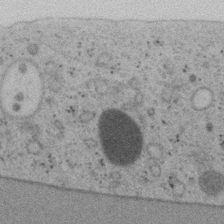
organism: Human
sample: HeLa cells